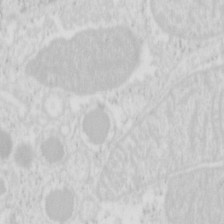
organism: Mouse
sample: Pancreas